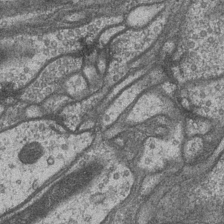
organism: Drosophila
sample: Optic medulla